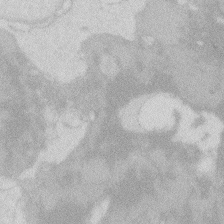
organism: Zebrafish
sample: Macrophage